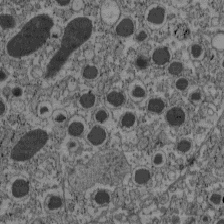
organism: C57BL Mouse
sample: Pancreatic islet